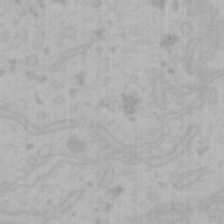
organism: Mouse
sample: Choroid plexus